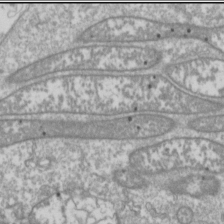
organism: Drosophila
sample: Cell division; meiosis; drosophila spermatocytes